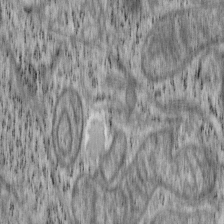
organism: Human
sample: HeLa cells